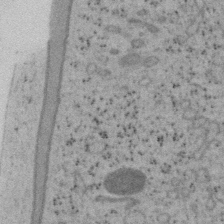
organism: Human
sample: HeLa cells